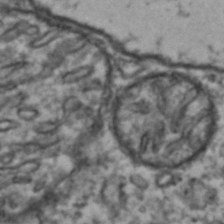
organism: Drosophila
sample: Brain